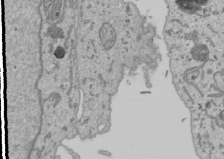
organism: Human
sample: Mitochondria in U2OS cells